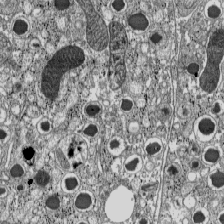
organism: C57BL Mouse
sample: Pancreatic islet